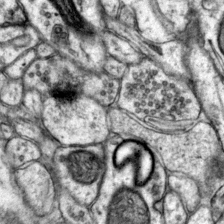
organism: Mouse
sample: Primary visual cortex